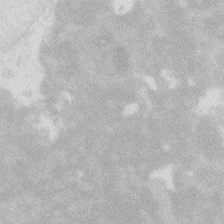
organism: Zebrafish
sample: Macrophage